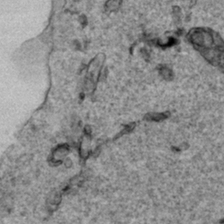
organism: Human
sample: Mitochondria in HCT116 cells